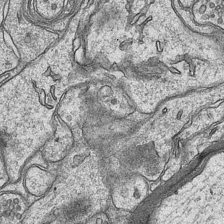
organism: Mouse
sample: CA1 Hippocampus